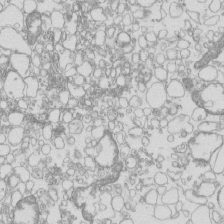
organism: Mouse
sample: Macrophages